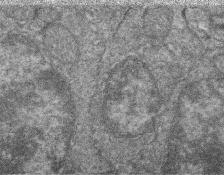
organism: Zebrafish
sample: Cilia; retinal pigment epithelium